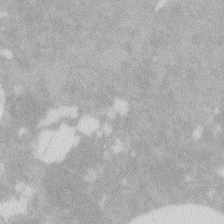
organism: Zebrafish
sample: Macrophage